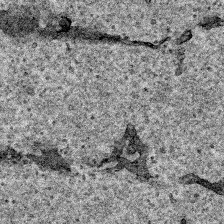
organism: Human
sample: Mitochondria in HCT116 cells